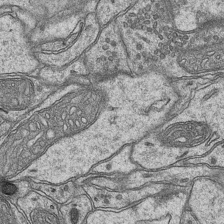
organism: Mouse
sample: CA1 Hippocampus